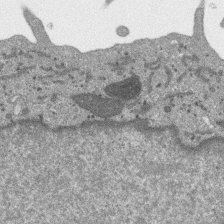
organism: Human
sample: Lung epithelial cells infected with SARS-CoV-2